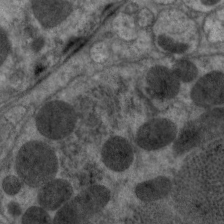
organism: C. elegans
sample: Pharynx